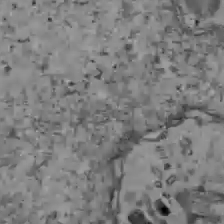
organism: C57BL Mouse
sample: Liver